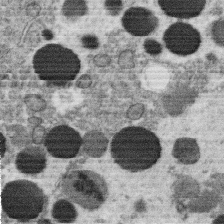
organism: C. elegans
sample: C. elegans oocyte; sperm cells